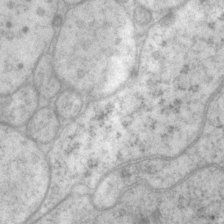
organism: P. pacificus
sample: Pharynx